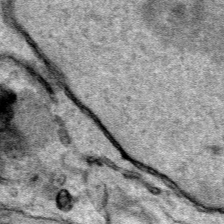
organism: Human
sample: Mitochondria in HCT116 cells